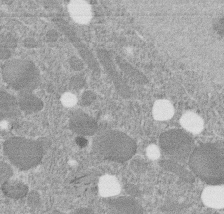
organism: C. elegans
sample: C. elegans embryo early stage